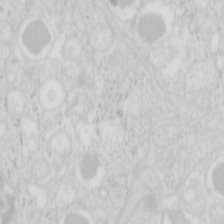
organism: Mouse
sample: Pancreas